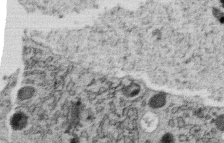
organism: C. elegans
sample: C. elegans oocyte; sperm cells